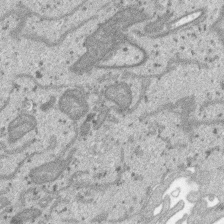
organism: Human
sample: Lung epithelial cells infected with SARS-CoV-2